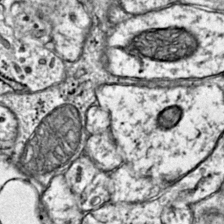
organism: Mouse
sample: Primary visual cortex